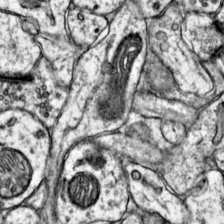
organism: Mouse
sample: Primary visual cortex